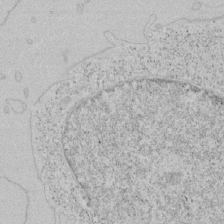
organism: Human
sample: Mitochondria in HCT116 cells